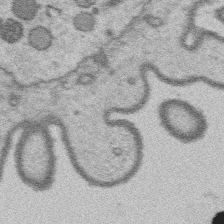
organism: Platynereis dumerilii